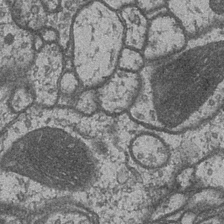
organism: Drosophila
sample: Optic medulla